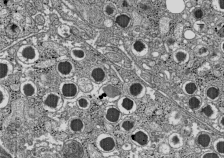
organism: C57BL Mouse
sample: Pancreatic islet